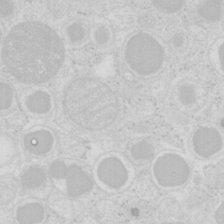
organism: Mouse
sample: Pancreas